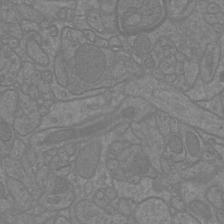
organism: Mouse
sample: Cortical neurons